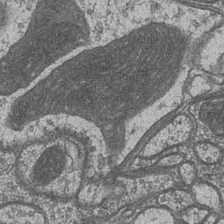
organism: Drosophila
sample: Optic medulla